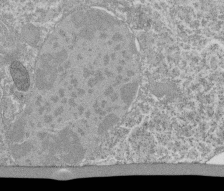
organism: Tetrahymena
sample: Cilia in tetrahymena